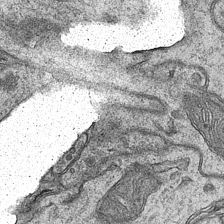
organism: Mouse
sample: CA1 Hippocampus